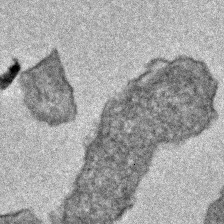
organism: E. coli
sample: E. Coli Bacteria